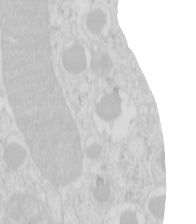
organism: Mouse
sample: Pancreas